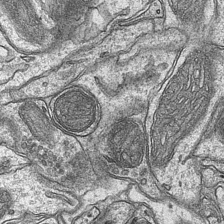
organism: Mouse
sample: CA1 Hippocampus